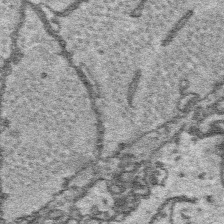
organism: Platynereis dumerilii